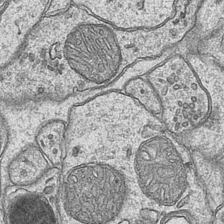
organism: Mouse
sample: CA1 Hippocampus